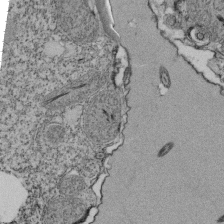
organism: Tetrahymena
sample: Cilia in tetrahymena